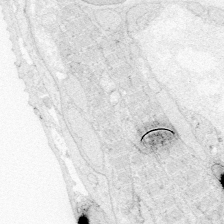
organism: Zebrafish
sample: Whole-Brain